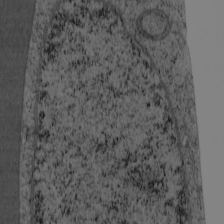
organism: African green monkey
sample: COS-7 cells